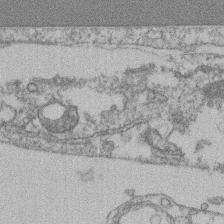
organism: Mouse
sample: T cell stromal cell synapse